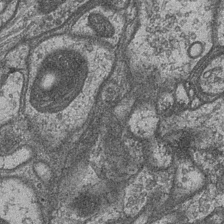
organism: Drosophila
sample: Optic medulla